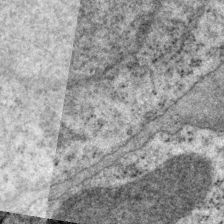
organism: P. pacificus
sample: Pharynx